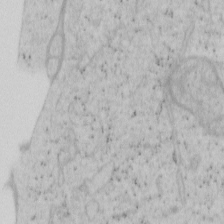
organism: Human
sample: HeLa cells